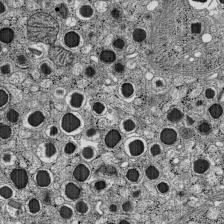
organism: C57BL Mouse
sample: Pancreatic islet